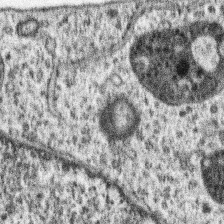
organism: Human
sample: HeLa cells